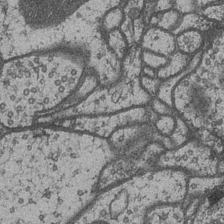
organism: Drosophila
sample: Optic medulla